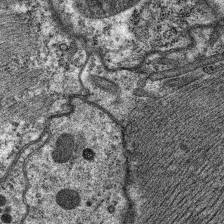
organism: C. elegans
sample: Pharynx